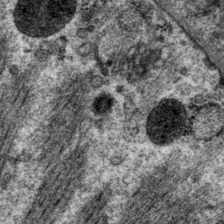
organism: P. pacificus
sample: Pharynx